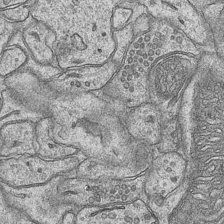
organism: Mouse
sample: CA1 Hippocampus